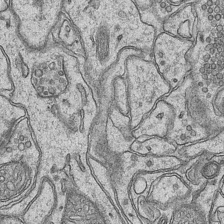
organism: Mouse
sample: CA1 Hippocampus